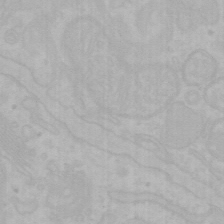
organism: Mouse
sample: Choroid plexus